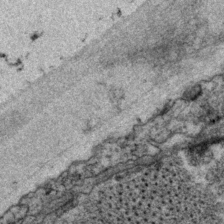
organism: P. pacificus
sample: Pharynx